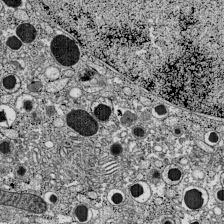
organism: C57BL Mouse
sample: Pancreatic islet